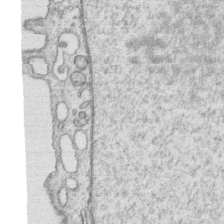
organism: Human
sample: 1205lu cells